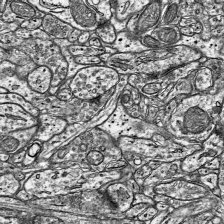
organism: Mouse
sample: Visual Cortex